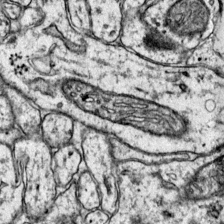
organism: Mouse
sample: Primary visual cortex